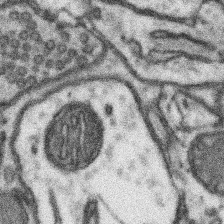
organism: Mouse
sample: Somatosensory cortex neuropil